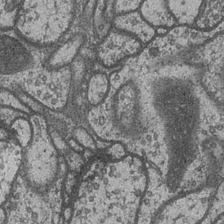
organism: Drosophila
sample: Optic medulla